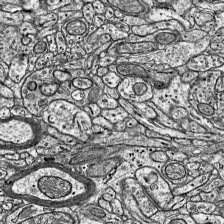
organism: Mouse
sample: Visual Cortex